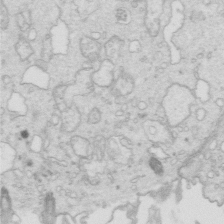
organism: Mouse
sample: Multiciliated cells